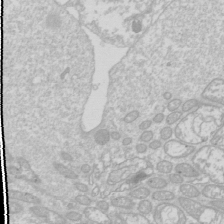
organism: Drosophila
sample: Cell division; meiosis; drosophila spermatocytes